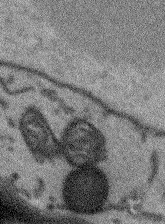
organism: Arabidopsis thaliana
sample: Root tip